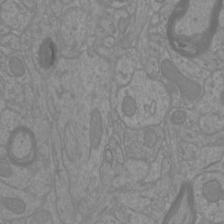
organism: Mouse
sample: Cortical neurons